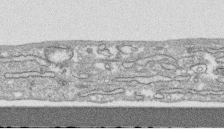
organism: Human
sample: CRL-1474